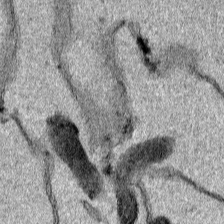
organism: Human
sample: Mitochondria in HCT116 cells